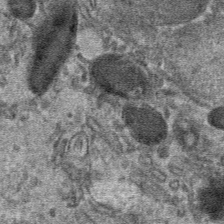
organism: Mouse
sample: Mouse hepatocytes